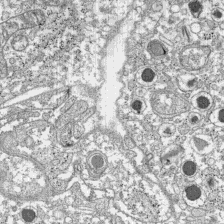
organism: C57BL Mouse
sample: Pancreatic islet